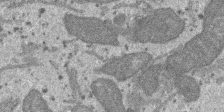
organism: Human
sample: Lung epithelial cells infected with SARS-CoV-2